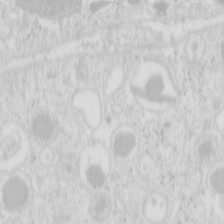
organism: Mouse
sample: Pancreas